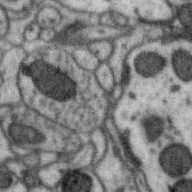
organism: Zebra finch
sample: Brain